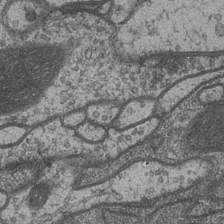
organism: Drosophila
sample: Optic medulla